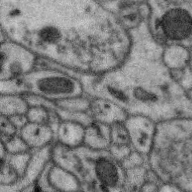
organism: Zebra finch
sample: Brain